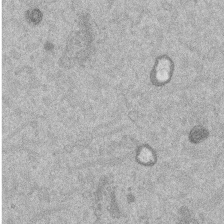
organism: Mouse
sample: Dividing mouse embryo 1 cell stage